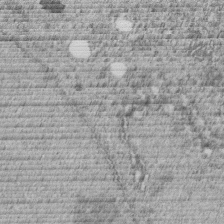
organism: C. elegans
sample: C. elegans embryo early stage